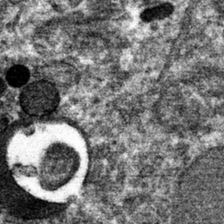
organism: Mouse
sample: Mouse hepatocytes